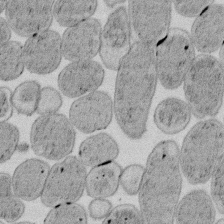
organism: E. coli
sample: Bacterial nucleoid